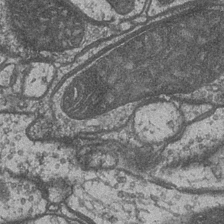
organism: Drosophila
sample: Optic medulla